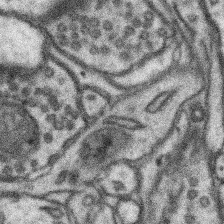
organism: Mouse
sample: Somatosensory cortex neuropil